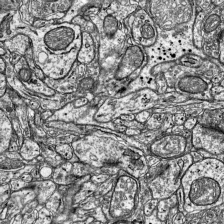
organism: Mouse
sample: Visual Cortex